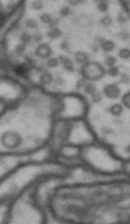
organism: Drosophila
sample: Brain